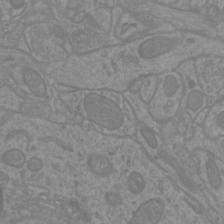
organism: Mouse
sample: Cortical neurons